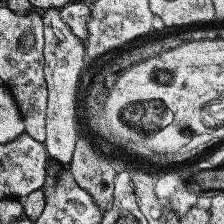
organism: Human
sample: Temporal Lobe